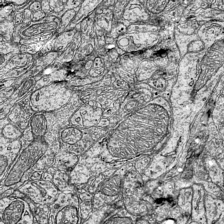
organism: Mouse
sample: Visual Cortex